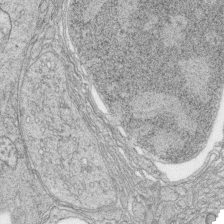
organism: Zebrafish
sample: synaptic ribbons in rod cells and cone cells